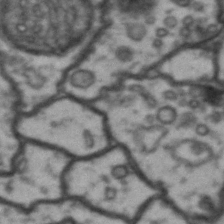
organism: Drosophila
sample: Brain